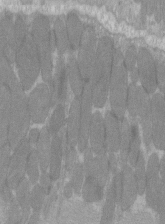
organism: C57BL Mouse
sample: Tibialis anterior muscle cell